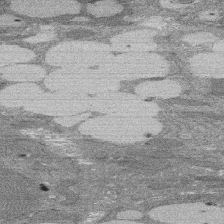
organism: Rat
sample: Salivary granule